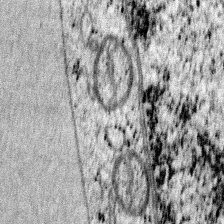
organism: Human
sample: HeLa cells